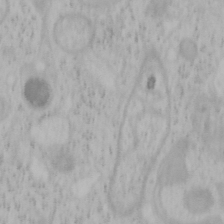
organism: Mouse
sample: OT-I killer T cells with ID8 ovarian cancer cells